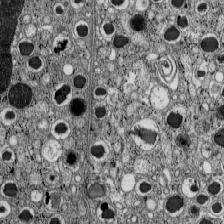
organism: C57BL Mouse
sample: Pancreatic islet